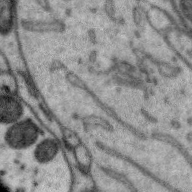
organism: Zebra finch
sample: Brain